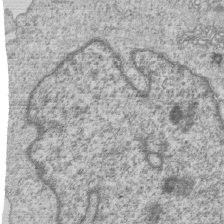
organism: Human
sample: MDA-MB-231 cells